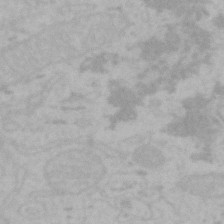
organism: Mouse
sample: Choroid plexus